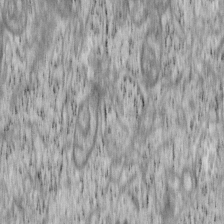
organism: Human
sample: HeLa cells